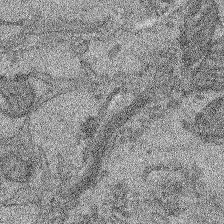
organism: Human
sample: HeLa cells